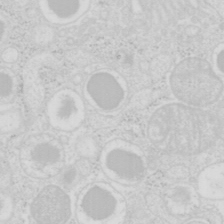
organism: Mouse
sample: Pancreas